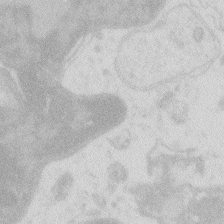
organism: Zebrafish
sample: Macrophage